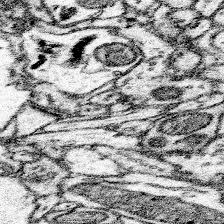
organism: Mouse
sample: Somatosensory cortex neuropil